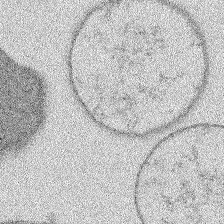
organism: Human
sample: HeLa cells